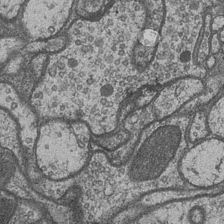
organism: Drosophila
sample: Optic medulla